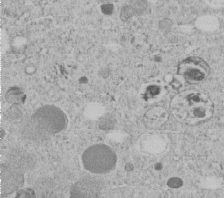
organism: C. elegans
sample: C. elegans embryo early stage